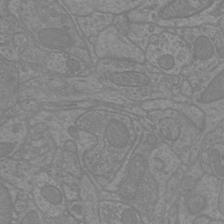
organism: Mouse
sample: Cortical neurons